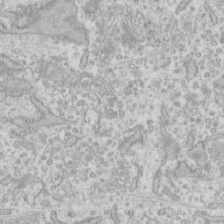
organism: Human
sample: Fibroblast cells